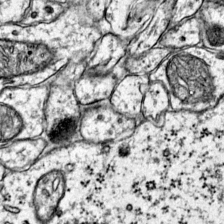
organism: Mouse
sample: Primary visual cortex